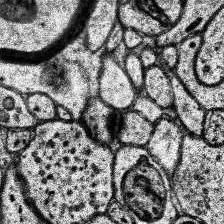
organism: Human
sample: Temporal Lobe